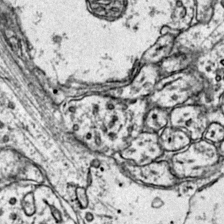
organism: Mouse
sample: Primary visual cortex